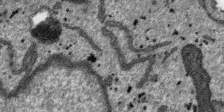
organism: Human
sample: Lung epithelial cells, uninfected (mock) control